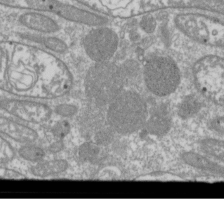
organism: Drosophila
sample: Cell division; meiosis; drosophila spermatocytes